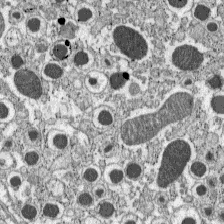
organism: C57BL Mouse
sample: Pancreatic islet